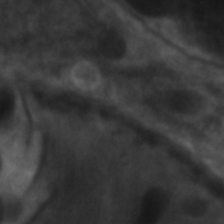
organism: C. elegans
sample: Pharynx